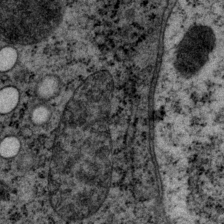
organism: P. pacificus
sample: Pharynx